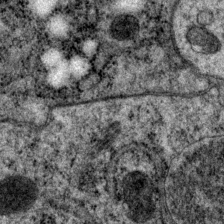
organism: P. pacificus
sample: Pharynx